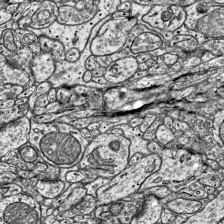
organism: Mouse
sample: Visual Cortex